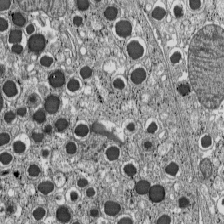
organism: C57BL Mouse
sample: Pancreatic islet